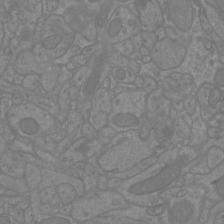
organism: Mouse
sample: Cortical neurons